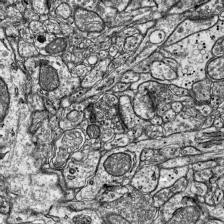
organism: Mouse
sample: Visual Cortex